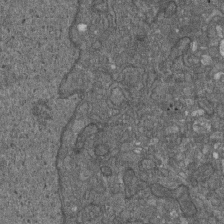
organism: Drosophila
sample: Nephrocyte